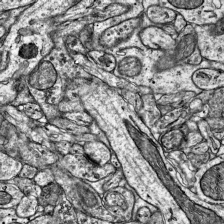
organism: Mouse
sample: Visual Cortex